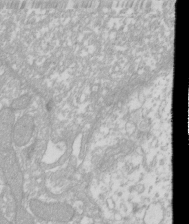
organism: Xenopus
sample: Cilia; centrioles in frog embryo cells